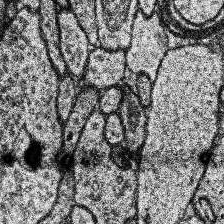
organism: Human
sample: Temporal Lobe